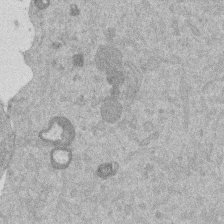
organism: Mouse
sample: Dividing mouse embryo 1 cell stage